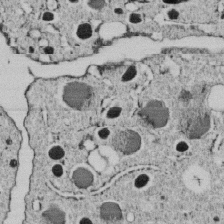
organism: C. elegans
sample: C. elegans embryo early stage